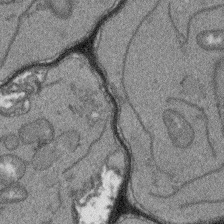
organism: Arabidopsis thaliana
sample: Root tip